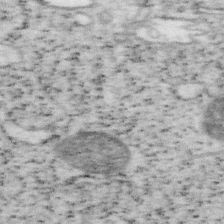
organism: Mouse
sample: OT-I killer T cells with ID8 ovarian cancer cells